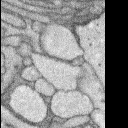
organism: Rabbit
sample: Retina